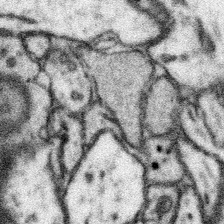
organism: Mouse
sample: Somatosensory cortex neuropil